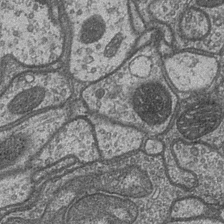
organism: Drosophila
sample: Optic medulla